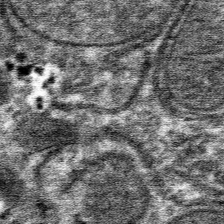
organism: Mouse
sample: Mouse hepatocytes